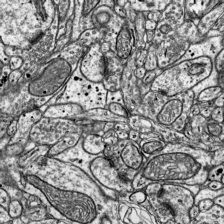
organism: Mouse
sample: Visual Cortex